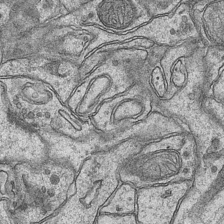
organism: Mouse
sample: CA1 Hippocampus